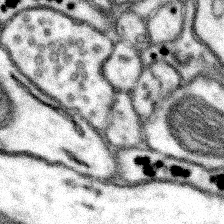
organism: Mouse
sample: Somatosensory cortex neuropil